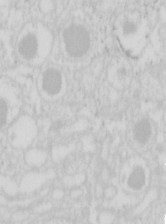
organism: Mouse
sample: Pancreas